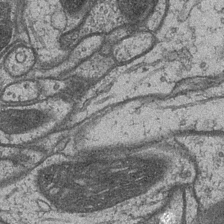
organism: Drosophila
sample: Optic medulla